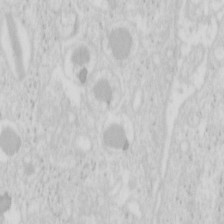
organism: Mouse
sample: Pancreas